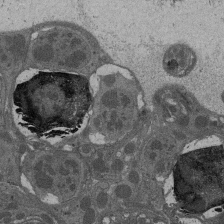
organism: Drosophila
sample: Antenna